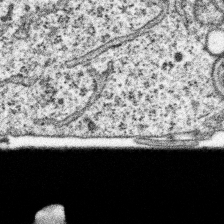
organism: Human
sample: HeLa cells